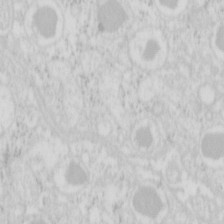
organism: Mouse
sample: Pancreas